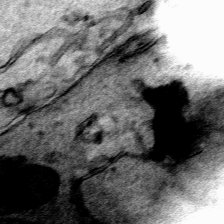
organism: Human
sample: Mitochondria in HCT116 cells